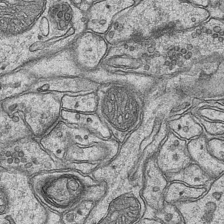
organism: Mouse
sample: CA1 Hippocampus